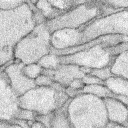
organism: Rabbit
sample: Retina